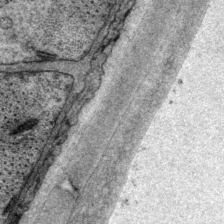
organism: P. pacificus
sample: Pharynx